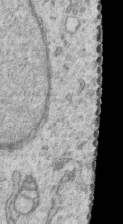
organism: Human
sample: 1205lu cells